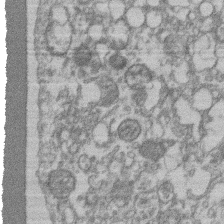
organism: Mouse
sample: T cell stromal cell synapse